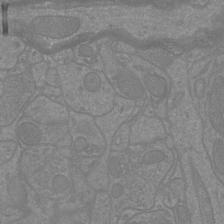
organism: Mouse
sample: Cortical neurons